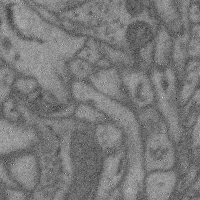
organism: Mouse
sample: Cerebral cortex